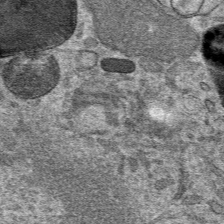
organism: Mouse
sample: Mouse hepatocytes